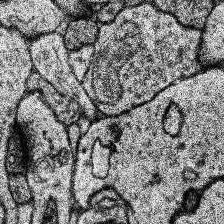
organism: Human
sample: Temporal Lobe